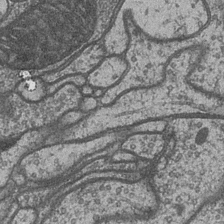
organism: Drosophila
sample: Optic medulla